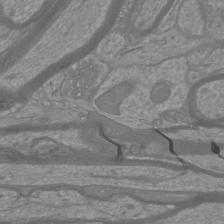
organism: Mouse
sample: Cortical neurons